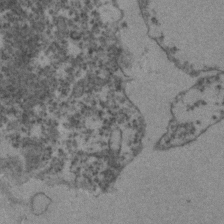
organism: Zebrafish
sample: Zebrafish embryo